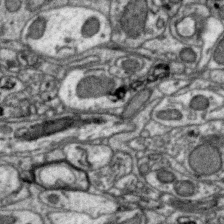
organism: Zebra finch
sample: Brain